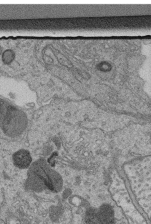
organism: Human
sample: Retinal organoid Rod and Cone cells